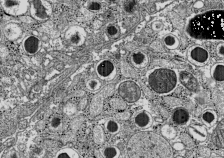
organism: C57BL Mouse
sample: Pancreatic islet